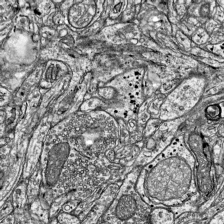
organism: Mouse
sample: Visual Cortex